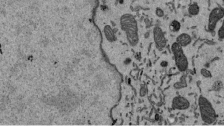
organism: Mouse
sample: ED-1 cell nuclei; centrioles